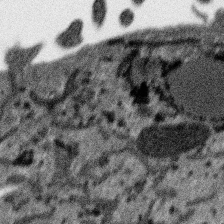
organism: Human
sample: Lung epithelial cells infected with SARS-CoV-2